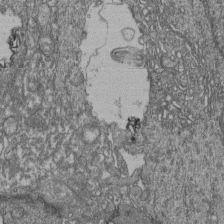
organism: Human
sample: Retinal organoid Rod and Cone cells